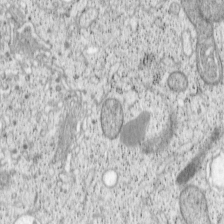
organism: African green monkey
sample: COS-7 cells